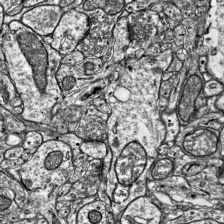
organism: Mouse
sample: Visual Cortex